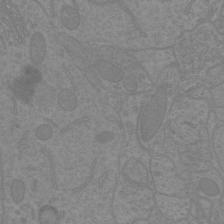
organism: Mouse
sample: Cortical neurons